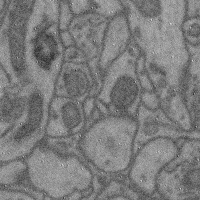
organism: Mouse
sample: Cerebral cortex